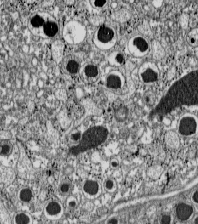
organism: C57BL Mouse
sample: Pancreatic islet